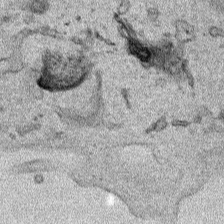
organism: Human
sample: Mitochondria in HCT116 cells